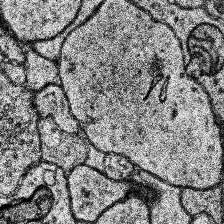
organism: Human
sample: Temporal Lobe